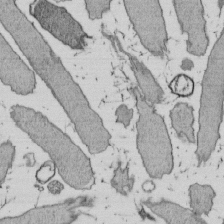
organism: E. coli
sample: Bacterial nucleoid